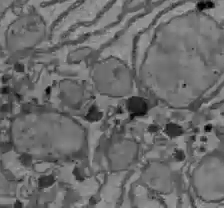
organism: C57BL Mouse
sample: Liver